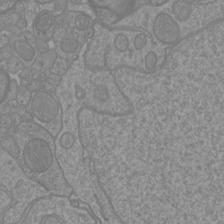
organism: Mouse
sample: Cortical neurons